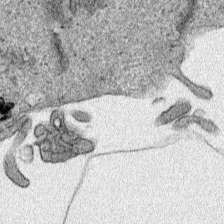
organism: Human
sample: Mitochondria in HCT116 cells